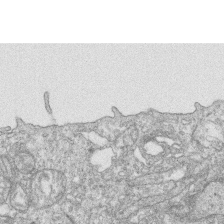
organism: Human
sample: HeLa cell HIV synapse